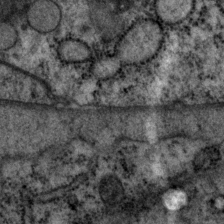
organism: P. pacificus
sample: Pharynx